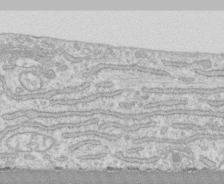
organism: Human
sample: CRL-1474